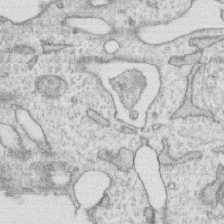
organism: Human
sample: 1205lu cells